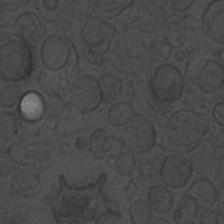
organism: C. elegans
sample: C. elegans embryo